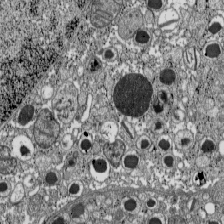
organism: C57BL Mouse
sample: Pancreatic islet